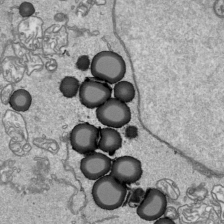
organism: Human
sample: Mitochondria in HCT116 cells